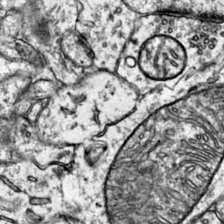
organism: Mouse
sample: Primary visual cortex